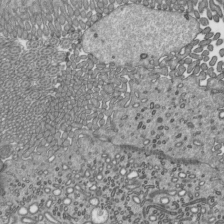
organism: Mouse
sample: Mouse epididymis efferent ductule cilia